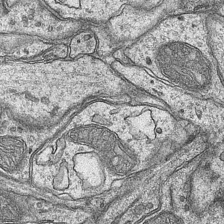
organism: Mouse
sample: CA1 Hippocampus